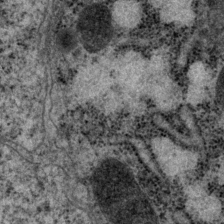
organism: P. pacificus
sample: Pharynx